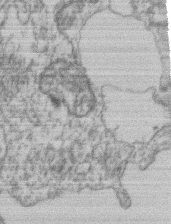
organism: Mouse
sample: T cell stromal cell synapse